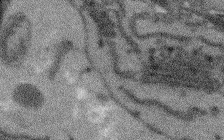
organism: Arabidopsis thaliana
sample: Root tip